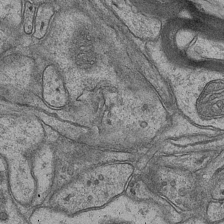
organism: Mouse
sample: CA1 Hippocampus